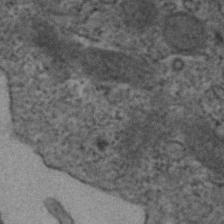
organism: Human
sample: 1205lu cells